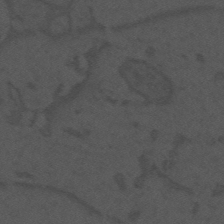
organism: Mouse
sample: Suprachiasmatic nucleus